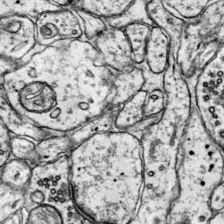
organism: Mouse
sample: Primary visual cortex